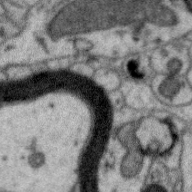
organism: Zebra finch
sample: Brain